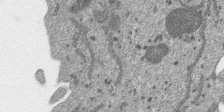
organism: Human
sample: Lung epithelial cells infected with SARS-CoV-2